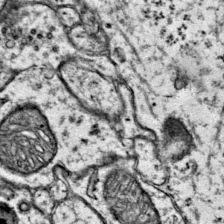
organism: Mouse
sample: Primary visual cortex